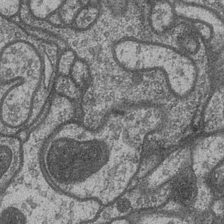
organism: Drosophila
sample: Optic medulla